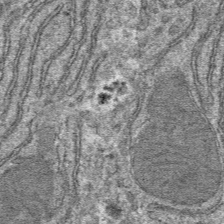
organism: Mouse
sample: Mouse hepatocytes